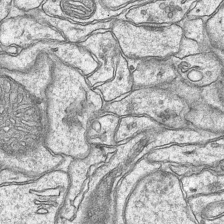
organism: Mouse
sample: CA1 Hippocampus